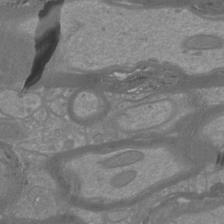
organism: Mouse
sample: Cortical neurons